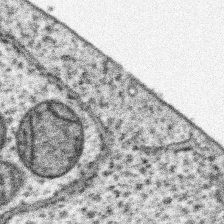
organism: Human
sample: HeLa cells